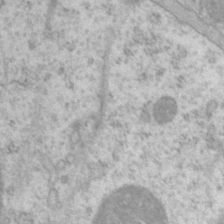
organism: P. pacificus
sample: Pharynx